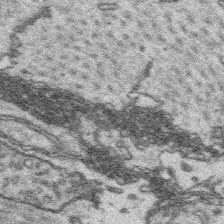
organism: Platynereis dumerilii